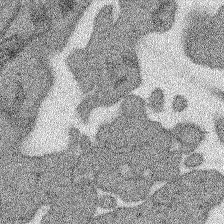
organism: Human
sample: HeLa cells